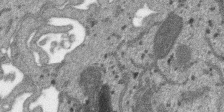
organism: Human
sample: Lung epithelial cells infected with SARS-CoV-2